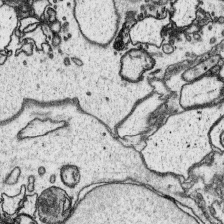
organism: Platynereis dumerilii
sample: Parapodia